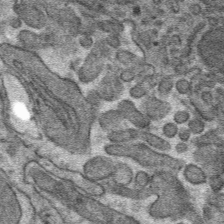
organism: Mouse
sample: Mouse hepatocytes